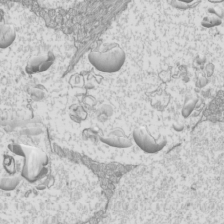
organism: Mouse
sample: Cilia; mouse epididymis